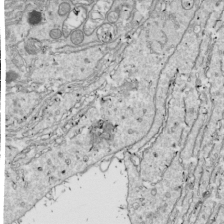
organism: Drosophila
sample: Cell division; meiosis; drosophila spermatocytes